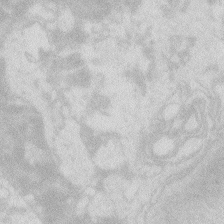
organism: Zebrafish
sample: Macrophage